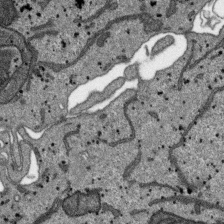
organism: Human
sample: Lung epithelial cells, uninfected (mock) control